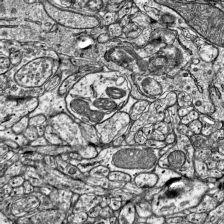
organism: Mouse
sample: Visual Cortex